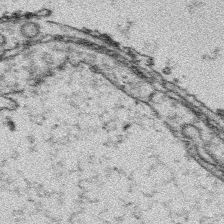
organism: Platynereis dumerilii